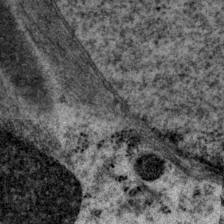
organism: P. pacificus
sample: Pharynx